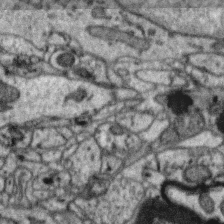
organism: Zebra finch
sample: Brain